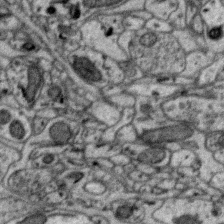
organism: Zebra finch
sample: Brain